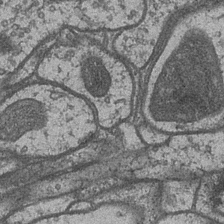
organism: Drosophila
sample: Optic medulla